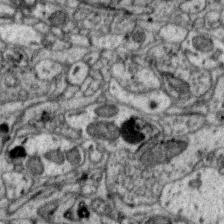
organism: Zebra finch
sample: Brain